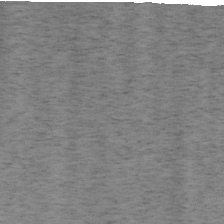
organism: Mouse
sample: OT-I killer T cells with ID8 ovarian cancer cells